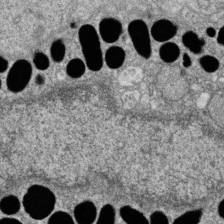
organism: Zebrafish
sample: Cilia; retinal pigment epithelium